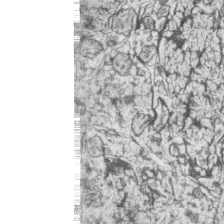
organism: Zebrafish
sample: synaptic ribbons in rod cells and cone cells